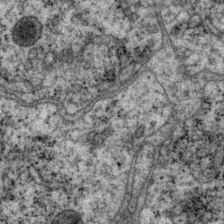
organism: P. pacificus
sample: Pharynx